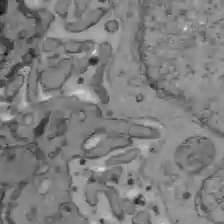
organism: C57BL Mouse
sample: Liver